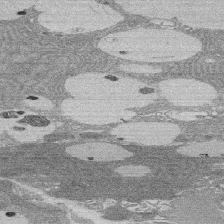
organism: Rat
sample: Salivary granule